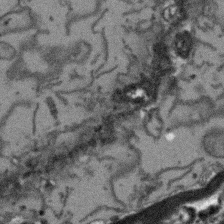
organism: Arabidopsis thaliana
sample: Root tip